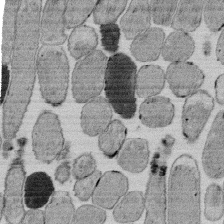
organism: E. coli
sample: Bacterial nucleoid